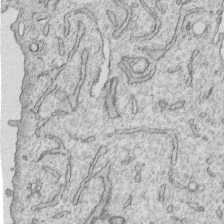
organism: Human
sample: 1205lu cells